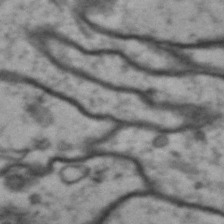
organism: Drosophila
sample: Brain